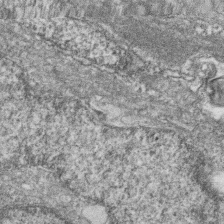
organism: Zebrafish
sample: Cilia; retinal pigment epithelium